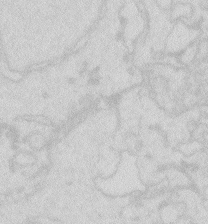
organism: Zebrafish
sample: Macrophage